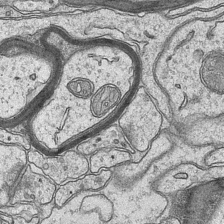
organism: Mouse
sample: CA1 Hippocampus